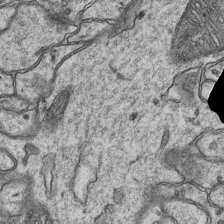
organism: Mouse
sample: CA1 Hippocampus